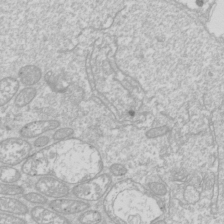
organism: Drosophila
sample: Cell division; meiosis; drosophila spermatocytes